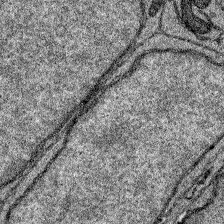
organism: Zebrafish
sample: Larval olfactory bulb